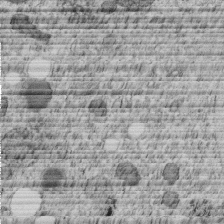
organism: C. elegans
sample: C. elegans embryo early stage